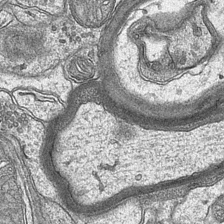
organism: Mouse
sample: CA1 Hippocampus